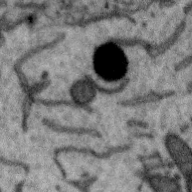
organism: Zebra finch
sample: Brain